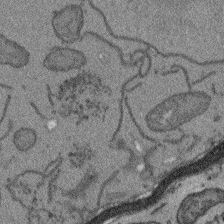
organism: Arabidopsis thaliana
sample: Root tip